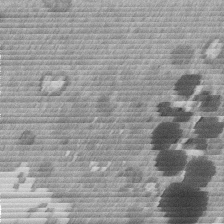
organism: Mouse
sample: Dividing mouse embryo 1 cell stage